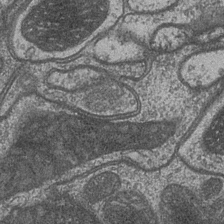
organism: Drosophila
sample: Optic medulla